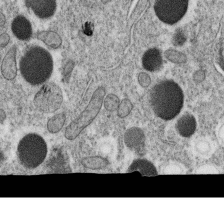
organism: C. elegans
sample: C. elegans oocyte; sperm cells